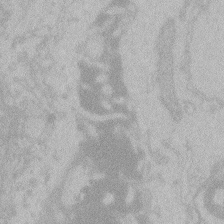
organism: Zebrafish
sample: Macrophage infected with Toxoplasma gondii